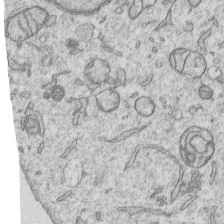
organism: Human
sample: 1205lu cells